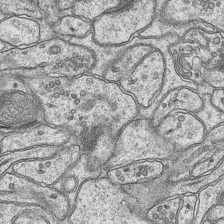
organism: Mouse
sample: CA1 Hippocampus